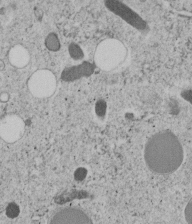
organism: C. elegans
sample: C. elegans embryo early stage